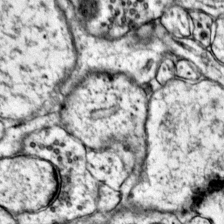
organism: Mouse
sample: Primary visual cortex